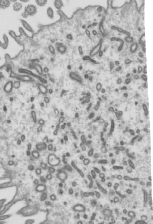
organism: Mouse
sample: Mouse epididymis efferent ductule cilia